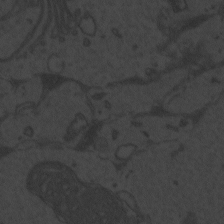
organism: Zebrafish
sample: Macrophage infected with Toxoplasma gondii